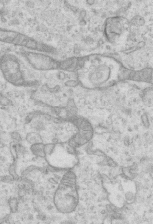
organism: Mouse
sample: Centriole in ependymal cells